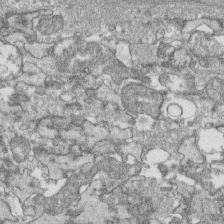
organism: Human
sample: CRL-1474